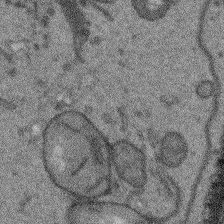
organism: Arabidopsis thaliana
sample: Root tip